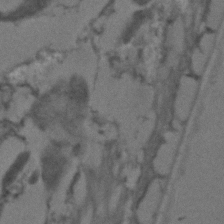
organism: C. elegans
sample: C. elegans embryo